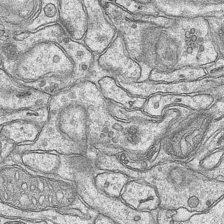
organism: Mouse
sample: CA1 Hippocampus